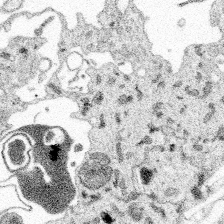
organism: Spongilla lacustris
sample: Multiple